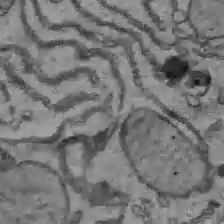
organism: C57BL Mouse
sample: Liver